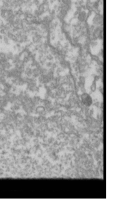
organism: Drosophila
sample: Cell division; meiosis; drosophila spermatocytes